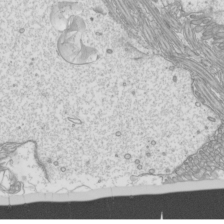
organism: Mouse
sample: Cilia; mouse epididymis